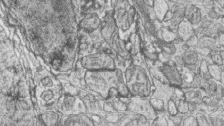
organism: Zebrafish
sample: synaptic ribbons in rod cells and cone cells